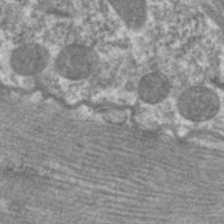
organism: C. elegans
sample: Pharynx